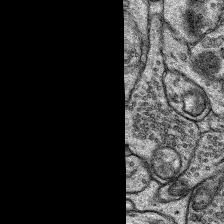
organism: Rat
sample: Hippocampus